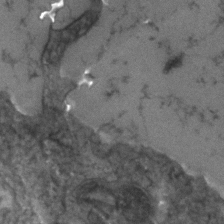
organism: Human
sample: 1205lu cells